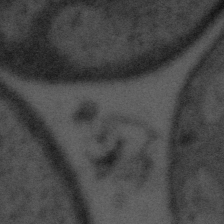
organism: Tuwongella immobilis